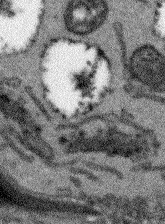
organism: Arabidopsis thaliana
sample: Root tip